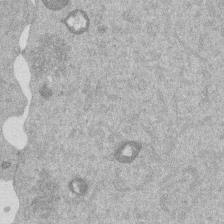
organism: Mouse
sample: Dividing mouse embryo 1 cell stage